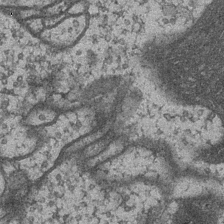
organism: Drosophila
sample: Optic medulla